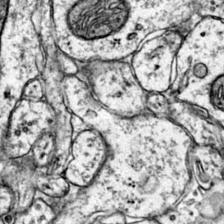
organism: Mouse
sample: Primary visual cortex